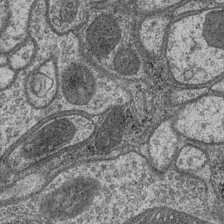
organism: Drosophila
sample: Optic medulla